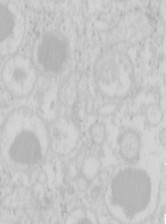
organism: Mouse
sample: Pancreas